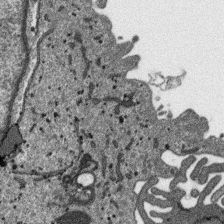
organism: Human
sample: Lung epithelial cells infected with SARS-CoV-2